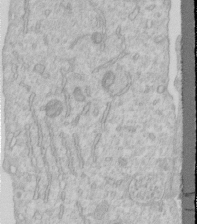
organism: Human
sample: Centriole in RPE cells